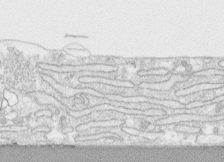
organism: Human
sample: CRL-1474